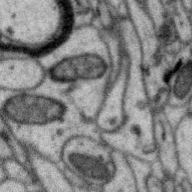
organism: Zebra finch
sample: Brain